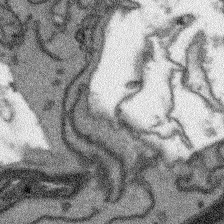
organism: Arabidopsis thaliana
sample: Root tip